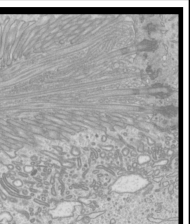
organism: Mouse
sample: Cilia; mouse epididymis